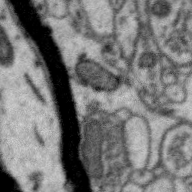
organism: Zebra finch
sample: Brain